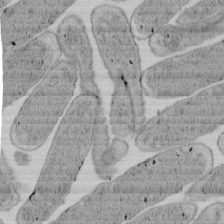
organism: E. coli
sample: Bacterial nucleoid